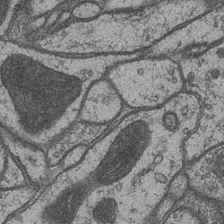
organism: Drosophila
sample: Optic medulla